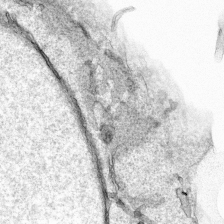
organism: Human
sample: Mitochondria in HCT116 cells